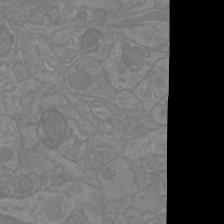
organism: Mouse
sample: Cortical neurons